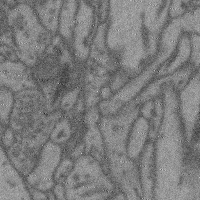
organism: Mouse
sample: Cerebral cortex